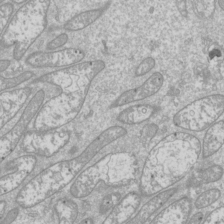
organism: Drosophila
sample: Cell division; meiosis; drosophila spermatocytes